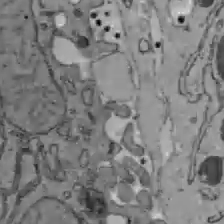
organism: C57BL Mouse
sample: Liver